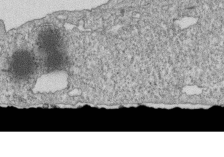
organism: Human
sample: HeLa cell HIV synapse